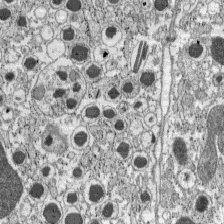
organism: C57BL Mouse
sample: Pancreatic islet